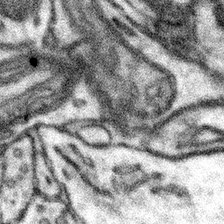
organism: Mouse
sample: Somatosensory cortex neuropil